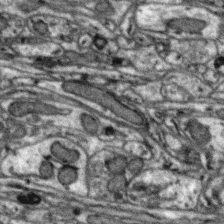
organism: Zebra finch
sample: Brain